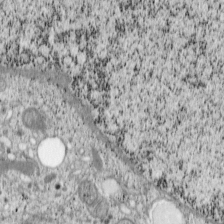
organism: African green monkey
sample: COS-7 cells